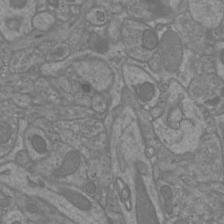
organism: Mouse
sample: Cortical neurons